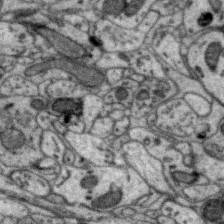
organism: Zebra finch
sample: Brain